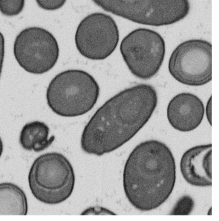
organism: B. subtilis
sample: Bacterial spore